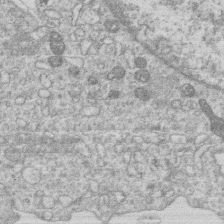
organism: Human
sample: Macrophage cells